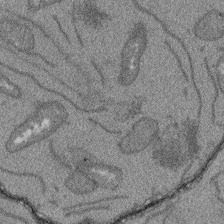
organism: Arabidopsis thaliana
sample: Root tip